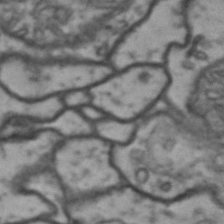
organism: Drosophila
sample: Brain